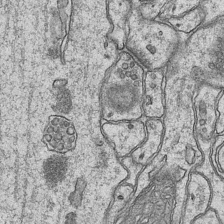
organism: Mouse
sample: CA1 Hippocampus